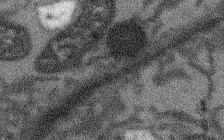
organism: Arabidopsis thaliana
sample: Root tip